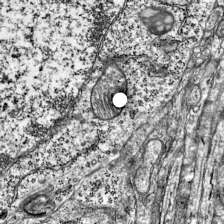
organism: Mouse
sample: Visual Cortex